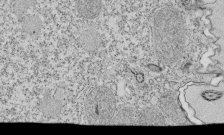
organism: Tetrahymena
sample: Cilia in tetrahymena